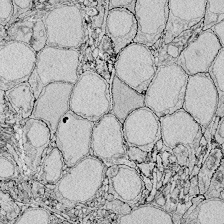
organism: Zebrafish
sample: Whole-Brain